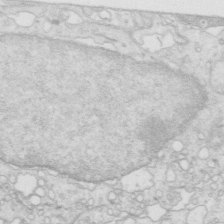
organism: Mouse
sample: Multiciliated cells